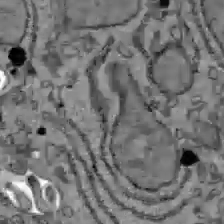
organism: C57BL Mouse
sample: Liver